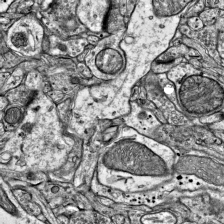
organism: Mouse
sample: Visual Cortex